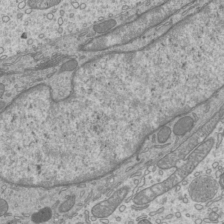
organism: Mouse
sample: Cilia; mouse epididymis